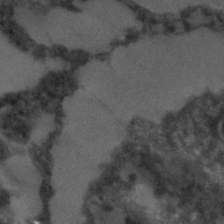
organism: C. elegans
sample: C. elegans embryo